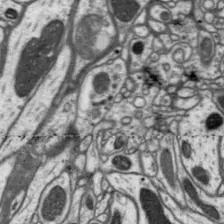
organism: Drosophila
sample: Protocerebral bridge